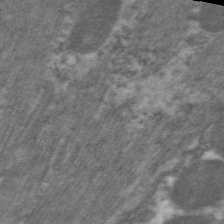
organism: C. elegans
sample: Pharynx